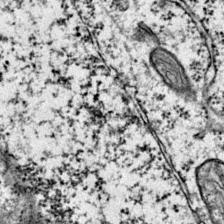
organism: Mouse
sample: Primary visual cortex